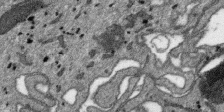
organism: Human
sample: Lung epithelial cells, uninfected (mock) control